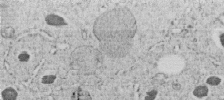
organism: C. elegans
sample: C. elegans embryo early stage